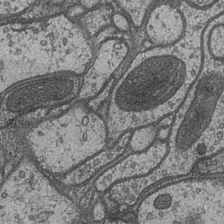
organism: Drosophila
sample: Optic medulla